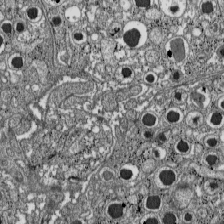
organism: C57BL Mouse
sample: Pancreatic islet